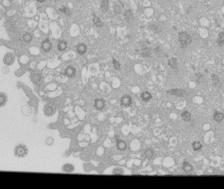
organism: Xenopus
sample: Cilia; centrioles in frog embryo cells